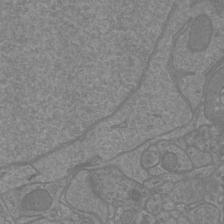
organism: Mouse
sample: Cortical neurons